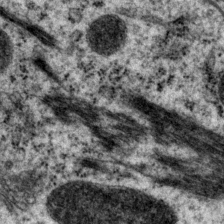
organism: P. pacificus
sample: Pharynx